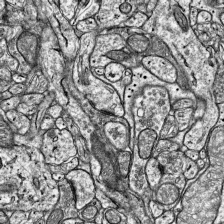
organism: Mouse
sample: Visual Cortex